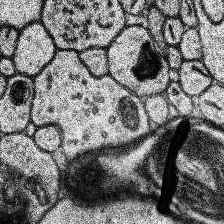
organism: Human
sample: Temporal Lobe